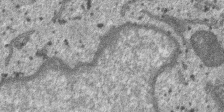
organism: Human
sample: Lung epithelial cells infected with SARS-CoV-2